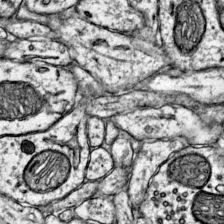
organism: Mouse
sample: Primary visual cortex